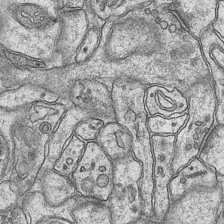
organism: Mouse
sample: CA1 Hippocampus